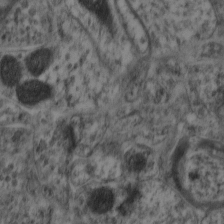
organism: Mouse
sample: Neocortex